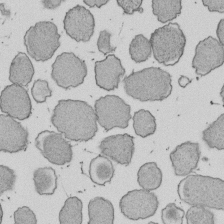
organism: E. coli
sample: Bacterial nucleoid